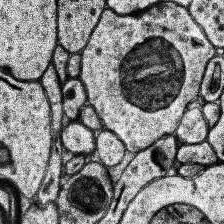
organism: Human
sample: Temporal Lobe